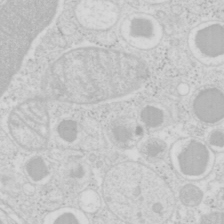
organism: Mouse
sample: Pancreas